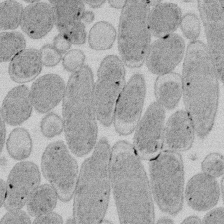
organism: E. coli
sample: Bacterial nucleoid